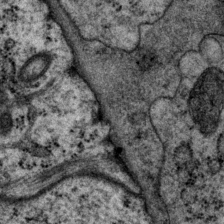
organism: P. pacificus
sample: Pharynx